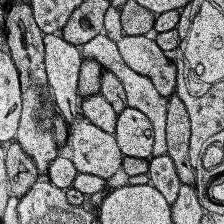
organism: Human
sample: Temporal Lobe